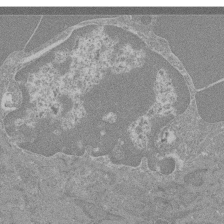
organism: Mouse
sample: Glomerulus